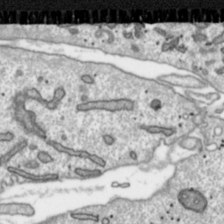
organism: Toxoplasma gondii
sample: Parasites in a vacuole inside a host cell